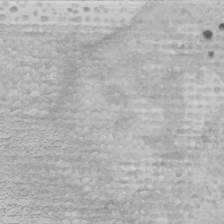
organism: Human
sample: Mitochondria in U2OS cells